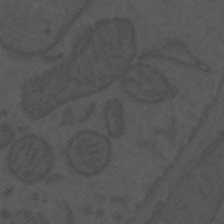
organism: Mouse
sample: Suprachiasmatic nucleus